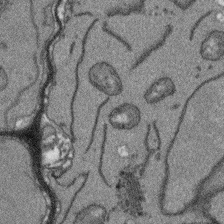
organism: Arabidopsis thaliana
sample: Root tip